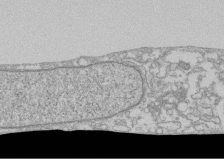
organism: Human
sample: CRL-1474